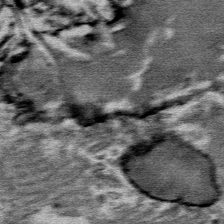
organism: Mouse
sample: Mouse Salivary gland